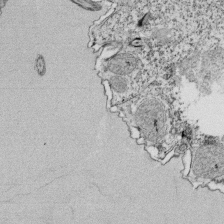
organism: Tetrahymena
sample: Cilia in tetrahymena